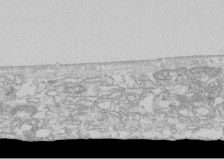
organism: Human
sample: CRL-1474